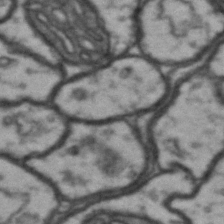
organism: Drosophila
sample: Brain